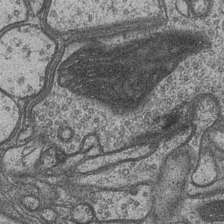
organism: Drosophila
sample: Optic medulla